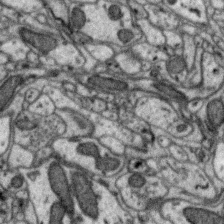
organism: Zebra finch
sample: Brain